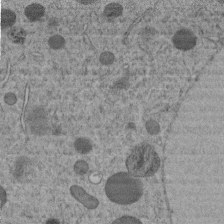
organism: C. elegans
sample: C. elegans embryo early stage